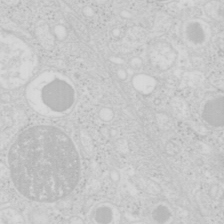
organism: Mouse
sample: Pancreas